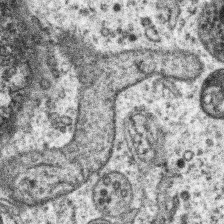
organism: Human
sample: HeLa cells